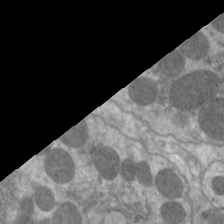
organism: C. elegans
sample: Pharynx